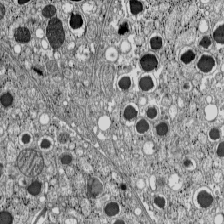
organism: C57BL Mouse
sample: Pancreatic islet